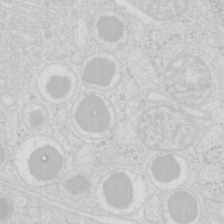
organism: Mouse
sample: Pancreas